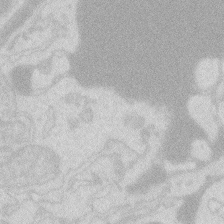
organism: Zebrafish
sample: Macrophage